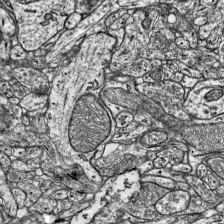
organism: Mouse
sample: Visual Cortex